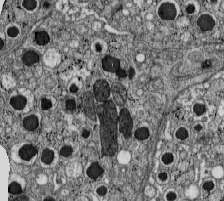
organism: C57BL Mouse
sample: Pancreatic islet